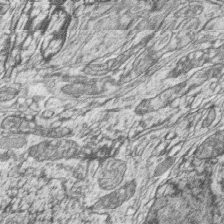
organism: Zebrafish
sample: synaptic ribbons in rod cells and cone cells